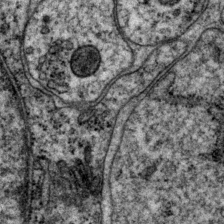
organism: P. pacificus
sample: Pharynx